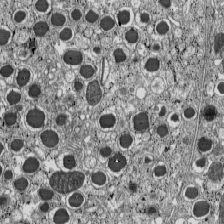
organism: C57BL Mouse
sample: Pancreatic islet